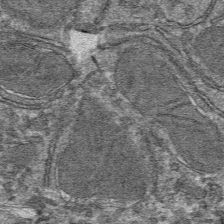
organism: Mouse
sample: Mouse hepatocytes